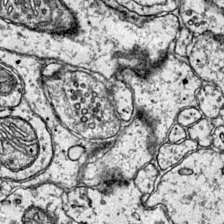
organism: Mouse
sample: Primary visual cortex